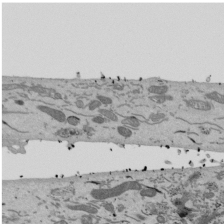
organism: Mouse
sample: ED-1 cell nuclei; centrioles